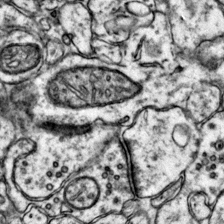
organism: Mouse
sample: Primary visual cortex